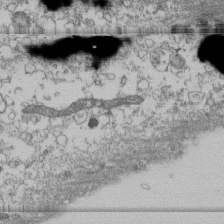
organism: Human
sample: Fibroblast cells